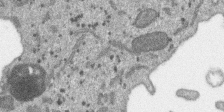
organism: Human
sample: Lung epithelial cells infected with SARS-CoV-2